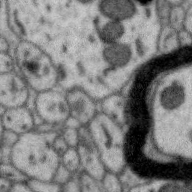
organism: Zebra finch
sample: Brain